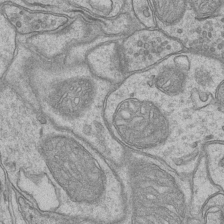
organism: Mouse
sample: CA1 Hippocampus